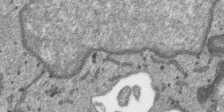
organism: Human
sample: Lung epithelial cells infected with SARS-CoV-2